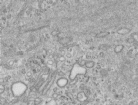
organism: Human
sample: Centriole in RPE cells